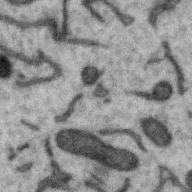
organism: Zebra finch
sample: Brain